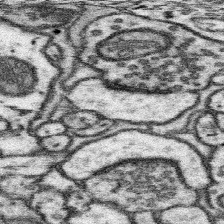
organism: Mouse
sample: Somatosensory cortex neuropil